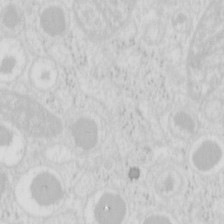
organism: Mouse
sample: Pancreas